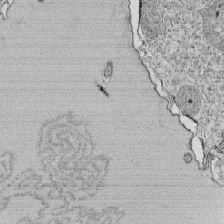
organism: Tetrahymena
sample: Cilia in tetrahymena